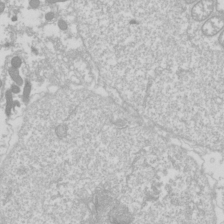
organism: Drosophila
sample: Cell division; meiosis; drosophila spermatocytes